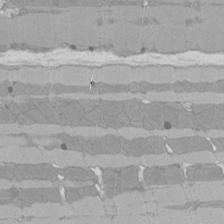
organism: Rat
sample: Left ventricle